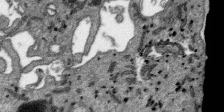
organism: Human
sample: Lung epithelial cells, uninfected (mock) control